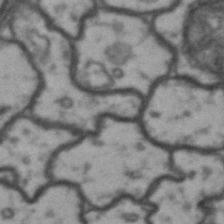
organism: Drosophila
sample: Brain